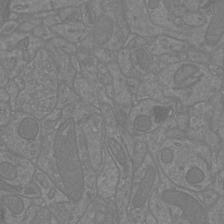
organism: Mouse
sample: Cortical neurons